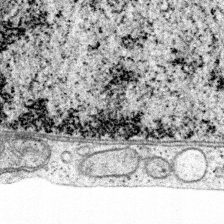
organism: Human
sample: HeLa cells